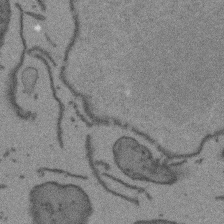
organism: Arabidopsis thaliana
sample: Root tip